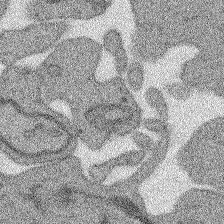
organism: Human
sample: HeLa cells